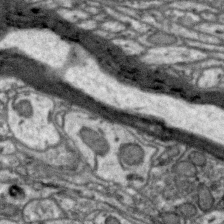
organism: Zebra finch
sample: Brain